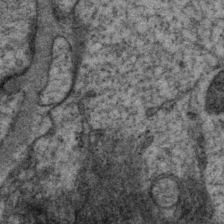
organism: P. pacificus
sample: Pharynx